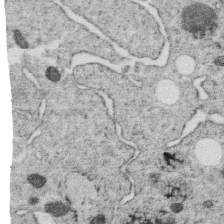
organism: C. elegans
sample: C. elegans oocyte; sperm cells